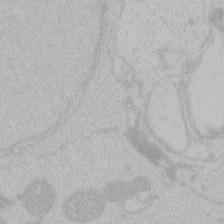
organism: Zebrafish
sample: Macrophage infected with Toxoplasma gondii